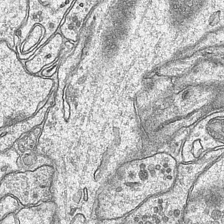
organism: Mouse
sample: CA1 Hippocampus